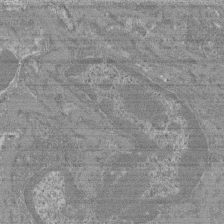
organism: Mouse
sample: Glomerulus